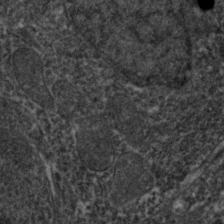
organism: Zebrafish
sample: Zebrafish embryo